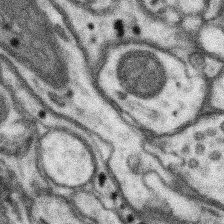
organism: Mouse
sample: Somatosensory cortex neuropil